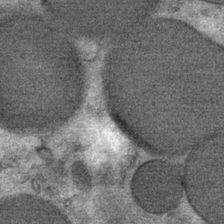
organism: Mouse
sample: Mouse Salivary gland